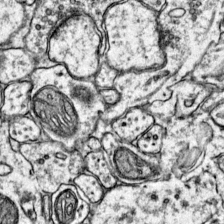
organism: Mouse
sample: Primary visual cortex